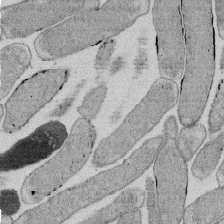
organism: E. coli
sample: Bacterial nucleoid